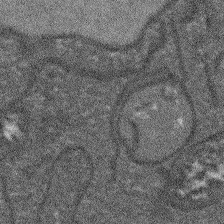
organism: Arabidopsis thaliana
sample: Root tip